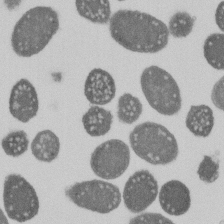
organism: E. coli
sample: Bacterial nucleoid